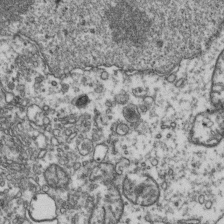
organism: Human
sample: Activated Jurkat CD4+ T cells